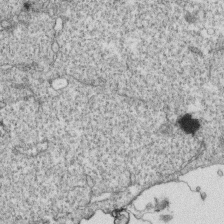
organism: Human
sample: HeLa cell HIV synapse